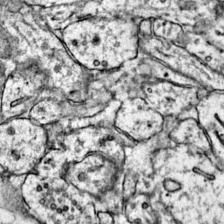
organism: Mouse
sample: Primary visual cortex